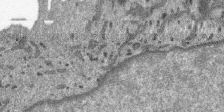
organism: Human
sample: Lung epithelial cells infected with SARS-CoV-2